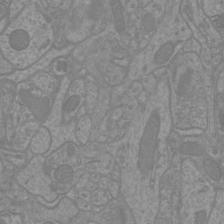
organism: Mouse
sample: Cortical neurons